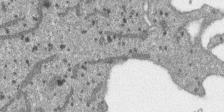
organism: Human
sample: Lung epithelial cells infected with SARS-CoV-2